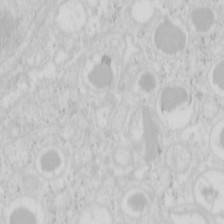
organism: Mouse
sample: Pancreas